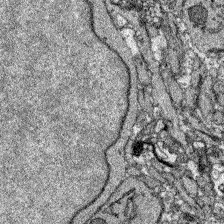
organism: Zebrafish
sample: Larval olfactory bulb